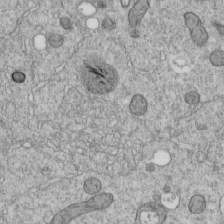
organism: C. elegans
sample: C. elegans embryo early stage